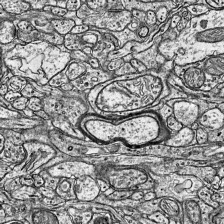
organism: Mouse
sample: Visual Cortex